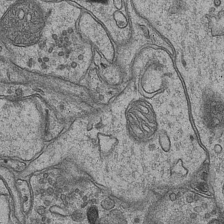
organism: Mouse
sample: CA1 Hippocampus